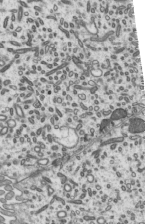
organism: Mouse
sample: Mouse epididymis efferent ductule cilia